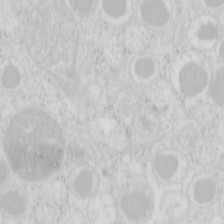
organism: Mouse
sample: Pancreas